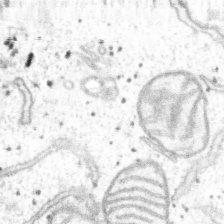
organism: Human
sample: HeLa cells